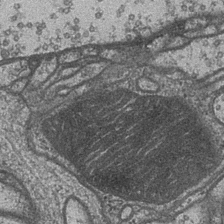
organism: Drosophila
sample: Optic medulla